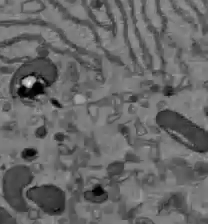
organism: C57BL Mouse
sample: Liver